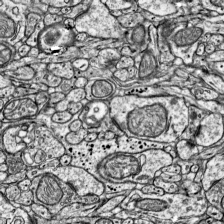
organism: Mouse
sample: Visual Cortex